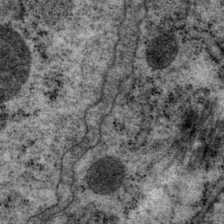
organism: P. pacificus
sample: Pharynx